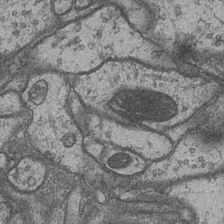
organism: Drosophila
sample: Optic medulla